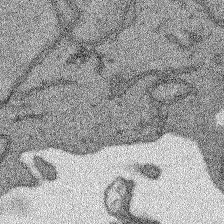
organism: Human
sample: HeLa cells